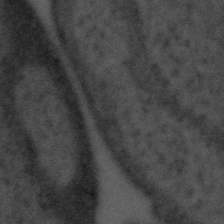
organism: Tuwongella immobilis